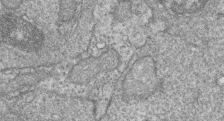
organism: Zebrafish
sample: Cilia; retinal pigment epithelium